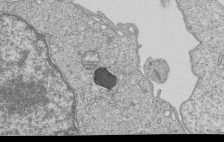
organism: Human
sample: MDA-MB-231 cells